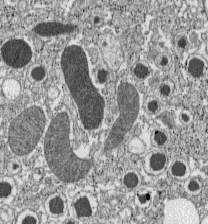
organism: C57BL Mouse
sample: Pancreatic islet